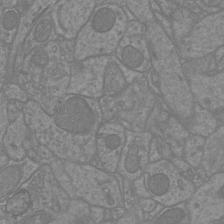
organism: Mouse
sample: Cortical neurons